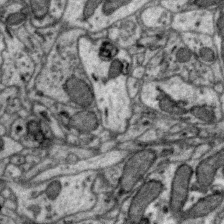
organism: Zebra finch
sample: Brain